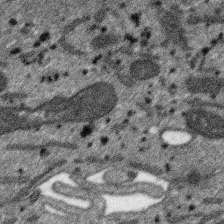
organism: Human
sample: Lung epithelial cells infected with SARS-CoV-2